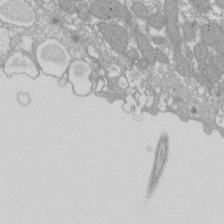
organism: Xenopus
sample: Cilia; centrioles in frog embryo cells